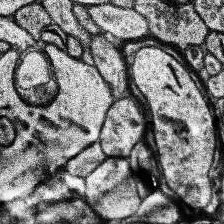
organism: Human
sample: Temporal Lobe